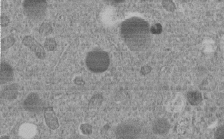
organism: C. elegans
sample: C. elegans embryo early stage